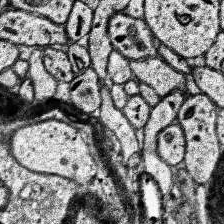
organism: Human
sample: Temporal Lobe